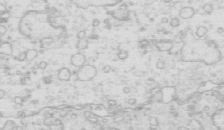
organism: Mouse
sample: Multiciliated cells